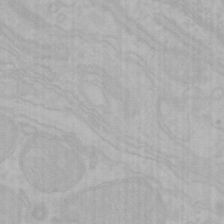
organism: Mouse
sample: Choroid plexus